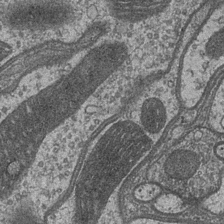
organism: Drosophila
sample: Optic medulla